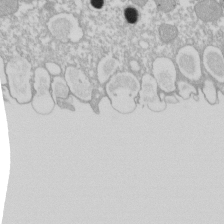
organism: Xenopus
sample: Cilia; centrioles in frog embryo cells